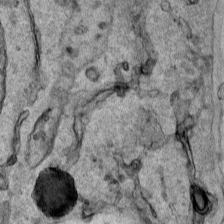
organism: Human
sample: Mitochondria in HCT116 cells